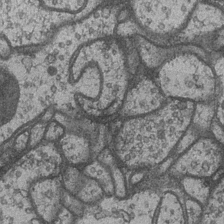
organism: Drosophila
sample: Optic medulla